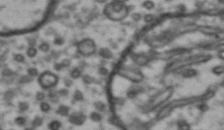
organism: Drosophila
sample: Brain